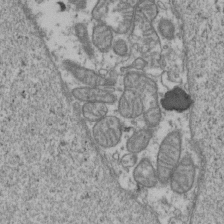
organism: Human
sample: Activated Jurkat CD4+ T cells